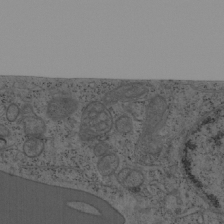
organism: Human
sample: HeLa cells